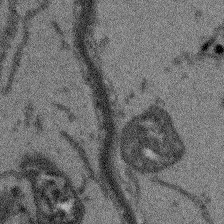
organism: Arabidopsis thaliana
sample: Root tip